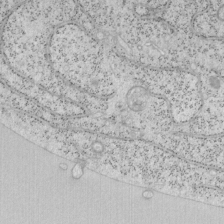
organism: Mouse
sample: OT-I killer T cells with ID8 ovarian cancer cells